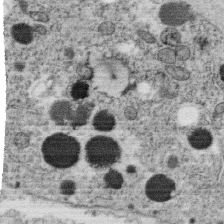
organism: C. elegans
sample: C. elegans oocyte; sperm cells